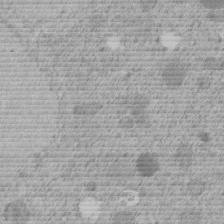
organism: C. elegans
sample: C. elegans embryo early stage